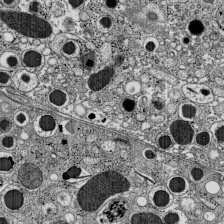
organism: C57BL Mouse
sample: Pancreatic islet